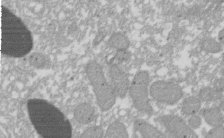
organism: Xenopus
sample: Cilia; centrioles in frog embryo cells